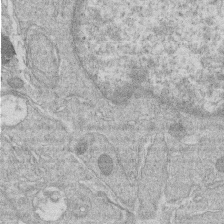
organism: Human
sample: Macrophage cells